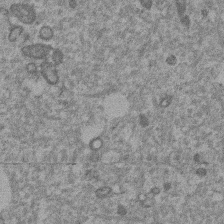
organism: Mouse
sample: Dividing mouse embryo 1 cell stage